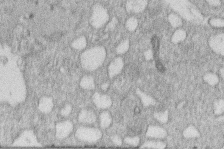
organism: Human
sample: Macrophage cells